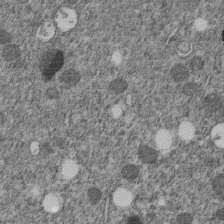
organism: C. elegans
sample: C. elegans embryo early stage